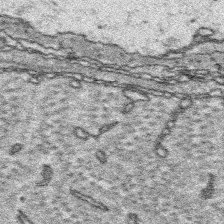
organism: Platynereis dumerilii